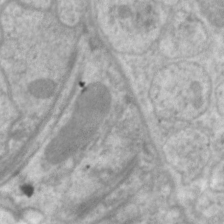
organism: C. elegans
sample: Pharynx